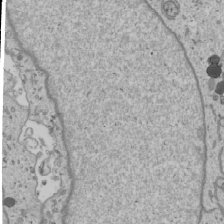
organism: Human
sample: Mitochondria in U2OS cells